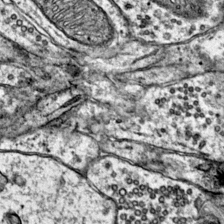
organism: Mouse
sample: Primary visual cortex